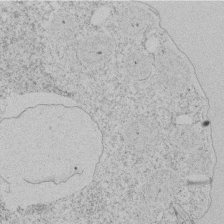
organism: Tetrahymena